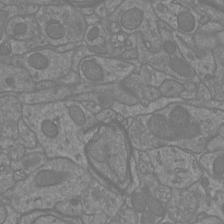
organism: Mouse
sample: Cortical neurons